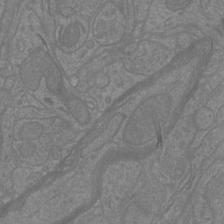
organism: Mouse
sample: Cortical neurons